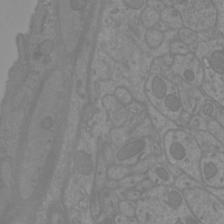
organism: Mouse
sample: Cortical neurons